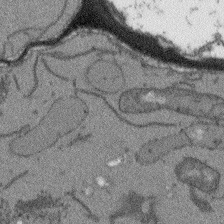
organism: Arabidopsis thaliana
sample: Root tip